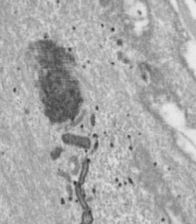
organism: Toxoplasma gondii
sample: Parasites in a vacuole inside a host cell